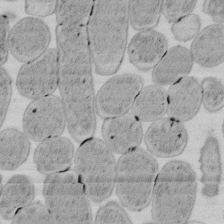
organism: E. coli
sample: Bacterial nucleoid